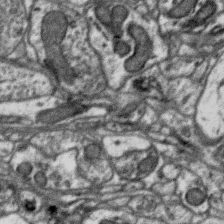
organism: Zebra finch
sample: Brain